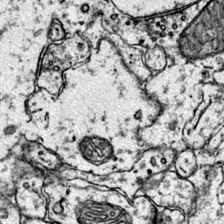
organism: Mouse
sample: Primary visual cortex